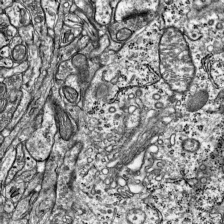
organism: Mouse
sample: Visual Cortex